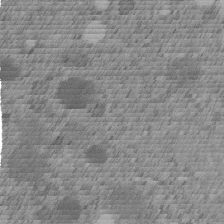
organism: C. elegans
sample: C. elegans embryo early stage